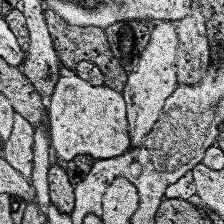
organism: Human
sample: Temporal Lobe